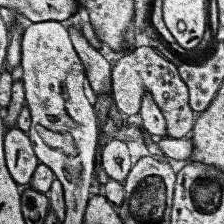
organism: Human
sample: Temporal Lobe